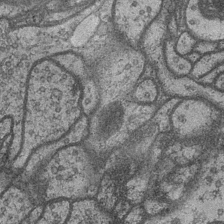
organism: Drosophila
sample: Optic medulla